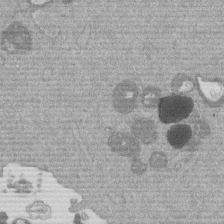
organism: Mouse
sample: Dividing mouse embryo 1 cell stage